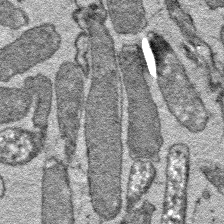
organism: E. coli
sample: E. Coli Bacteria